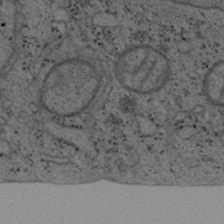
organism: Human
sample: HeLa cells